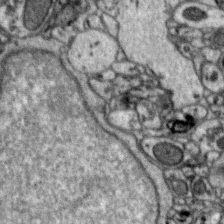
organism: Zebra finch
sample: Brain